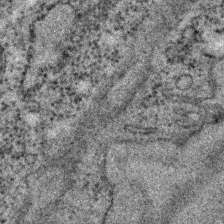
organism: C. elegans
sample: C. elegans embryo